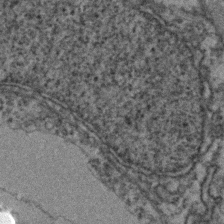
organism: Zebrafish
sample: Zebrafish embryo